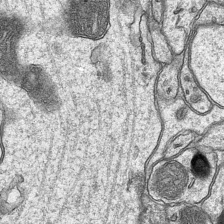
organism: Mouse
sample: CA1 Hippocampus